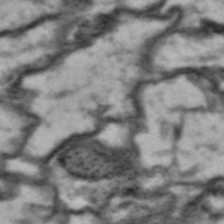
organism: Drosophila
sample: Brain